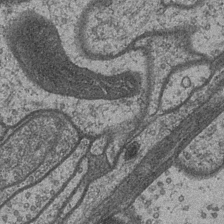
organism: Drosophila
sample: Optic medulla